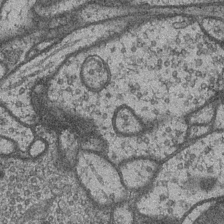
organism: Drosophila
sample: Optic medulla